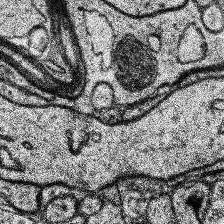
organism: Human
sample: Temporal Lobe